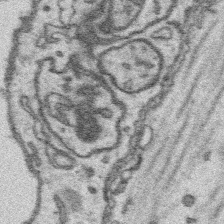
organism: Platynereis dumerilii